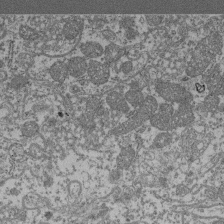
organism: Mouse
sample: Glomerulus